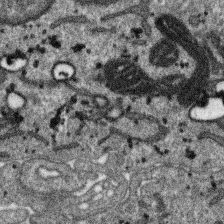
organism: Human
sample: Lung epithelial cells infected with SARS-CoV-2